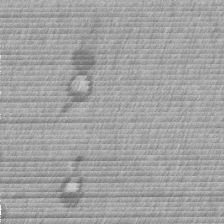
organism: Mouse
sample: Dividing mouse embryo 1 cell stage